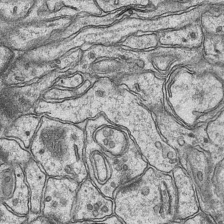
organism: Mouse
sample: CA1 Hippocampus